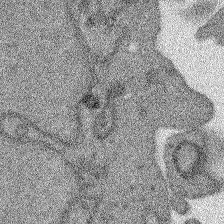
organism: Human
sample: HeLa cells